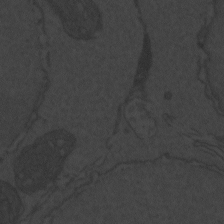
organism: Zebrafish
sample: Macrophage infected with Toxoplasma gondii